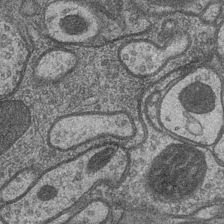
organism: Drosophila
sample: Optic medulla